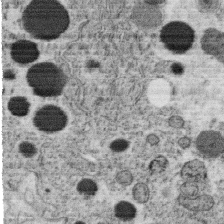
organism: C. elegans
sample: C. elegans oocyte; sperm cells